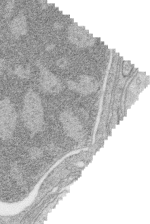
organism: Zebrafish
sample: synaptic ribbons in rod cells and cone cells